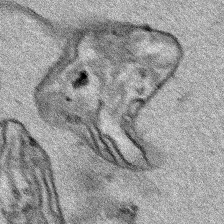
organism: Human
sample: Mitochondria in HCT116 cells